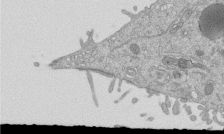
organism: Mouse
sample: ED-1 cell nuclei; centrioles